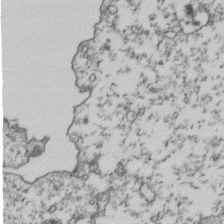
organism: Human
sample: Activated Jurkat CD4+ T cells